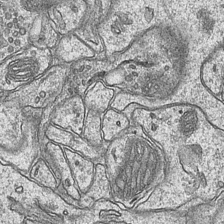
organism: Mouse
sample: CA1 Hippocampus